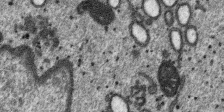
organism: Human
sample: Lung epithelial cells infected with SARS-CoV-2